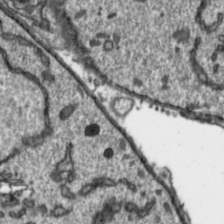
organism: Toxoplasma gondii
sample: Parasites in a vacuole inside a host cell